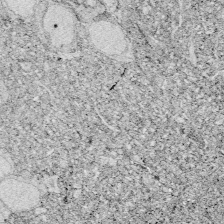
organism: Zebrafish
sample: Whole-Brain